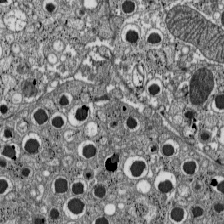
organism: C57BL Mouse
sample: Pancreatic islet